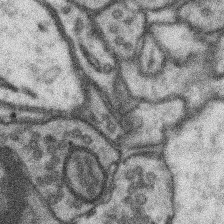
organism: Mouse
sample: Somatosensory cortex neuropil